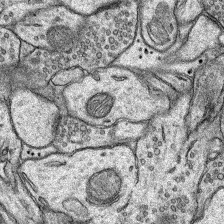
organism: Rat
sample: Hippocampus